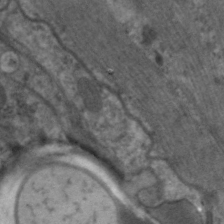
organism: C. elegans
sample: Pharynx